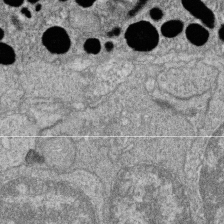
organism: Zebrafish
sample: Cilia; retinal pigment epithelium